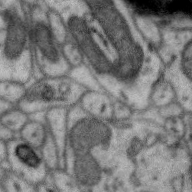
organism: Zebra finch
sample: Brain